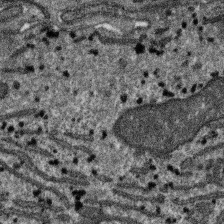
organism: Human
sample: Lung epithelial cells infected with SARS-CoV-2